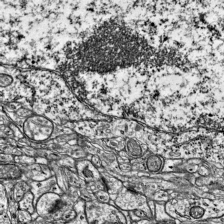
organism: Mouse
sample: Visual Cortex